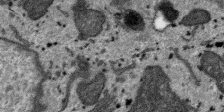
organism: Human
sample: Lung epithelial cells, uninfected (mock) control